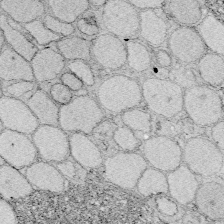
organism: Zebrafish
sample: Whole-Brain